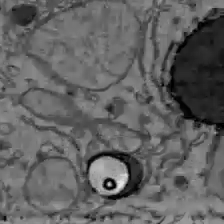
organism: C57BL Mouse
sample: Liver